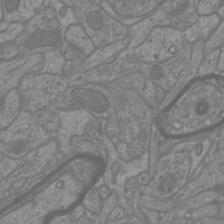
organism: Mouse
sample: Cortical neurons